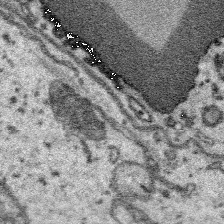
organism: Platynereis dumerilii